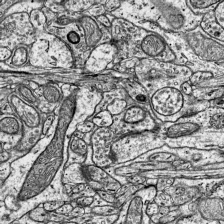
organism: Mouse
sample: Visual Cortex